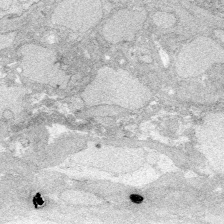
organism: Zebrafish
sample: Whole-Brain